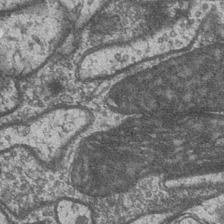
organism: Drosophila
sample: Optic medulla